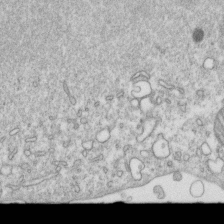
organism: Mouse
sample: Activated OT-1 CD8+ T cells